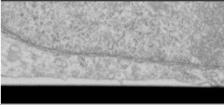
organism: Human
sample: Cilia; basal body in RPE cells